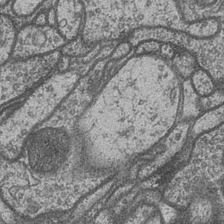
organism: Drosophila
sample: Optic medulla